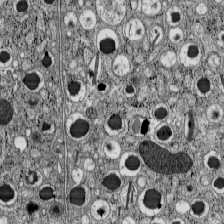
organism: C57BL Mouse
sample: Pancreatic islet